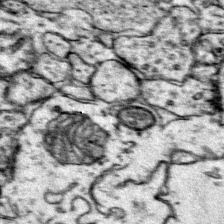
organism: Mouse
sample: Primary visual cortex